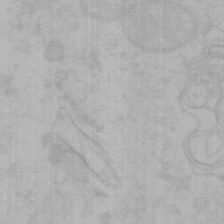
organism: Mouse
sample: Choroid plexus